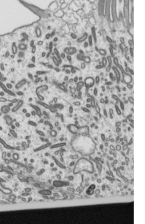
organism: Mouse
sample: Mouse epididymis efferent ductule cilia